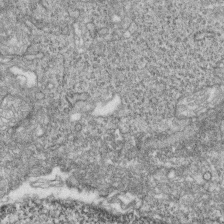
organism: Zebrafish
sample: Cilia; retinal pigment epithelium